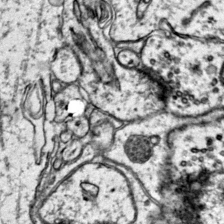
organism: Mouse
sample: Primary visual cortex